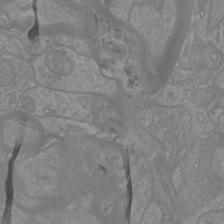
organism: Mouse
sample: Cortical neurons